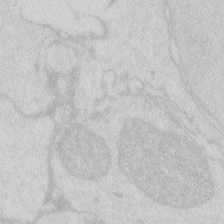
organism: Zebrafish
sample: Macrophage